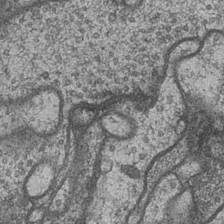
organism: Drosophila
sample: Optic medulla